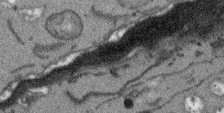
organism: Arabidopsis thaliana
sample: Root tip